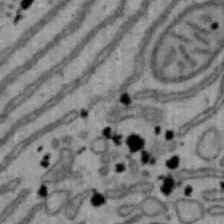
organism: Mouse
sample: Liver